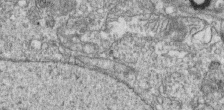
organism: Human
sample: HeLa cell HIV synapse